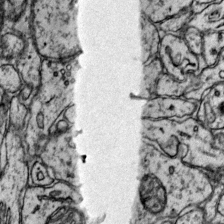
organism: Mouse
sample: Primary visual cortex